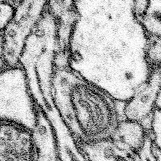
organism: Mouse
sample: Somatosensory cortex neuropil